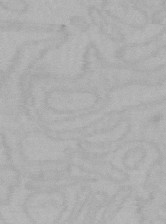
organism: Mouse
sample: Choroid plexus